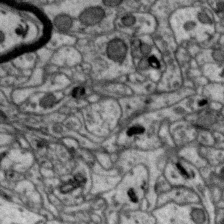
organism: Zebra finch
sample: Brain